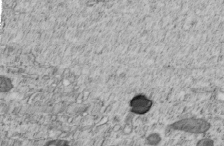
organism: C. elegans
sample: C. elegans embryo early stage